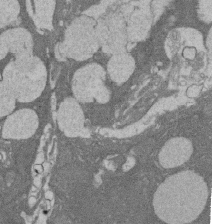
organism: Rat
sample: Salivary granule